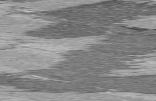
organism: C57BL Mouse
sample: Heart